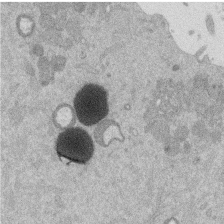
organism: Mouse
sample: Dividing mouse embryo 1 cell stage